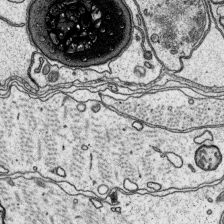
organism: Platynereis dumerilii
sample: Parapodia